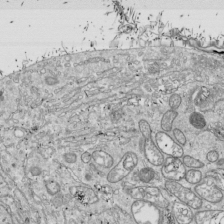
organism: Drosophila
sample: Cell division; meiosis; drosophila spermatocytes